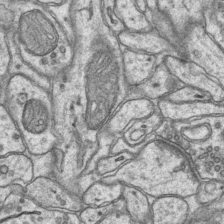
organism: Mouse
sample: CA1 Hippocampus